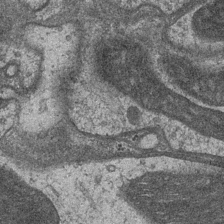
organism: Drosophila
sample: Optic medulla